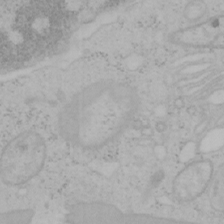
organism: Mouse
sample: OT-I killer T cells with ID8 ovarian cancer cells